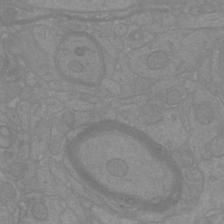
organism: Mouse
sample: Cortical neurons